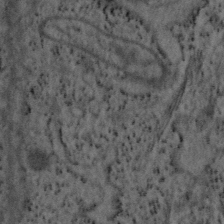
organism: Human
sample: HeLa cells